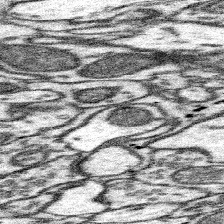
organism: Mouse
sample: Somatosensory cortex neuropil